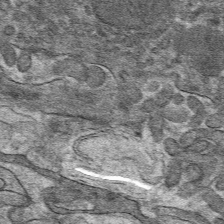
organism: Mouse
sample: Mouse hepatocytes